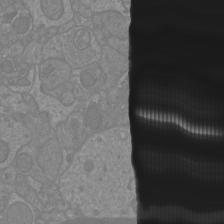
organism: Mouse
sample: Cortical neurons